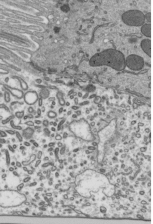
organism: Mouse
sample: Mouse epididymis efferent ductule cilia